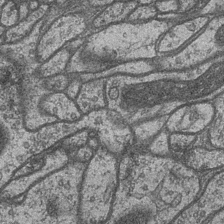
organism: Drosophila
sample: Optic medulla